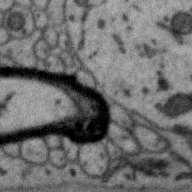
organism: Zebra finch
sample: Brain